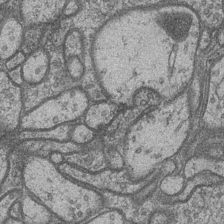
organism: Drosophila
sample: Optic medulla